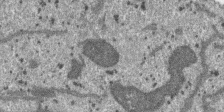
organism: Human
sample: Lung epithelial cells infected with SARS-CoV-2